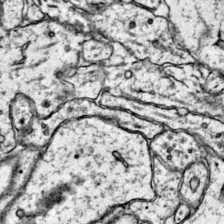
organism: Mouse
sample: Primary visual cortex